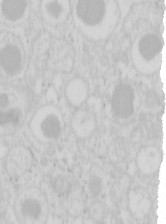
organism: Mouse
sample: Pancreas